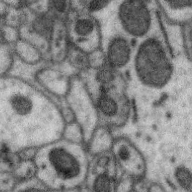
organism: Zebra finch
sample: Brain